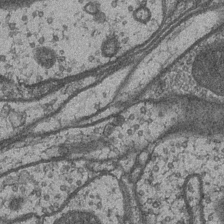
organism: Drosophila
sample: Optic medulla